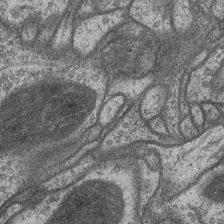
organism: Drosophila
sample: Optic medulla